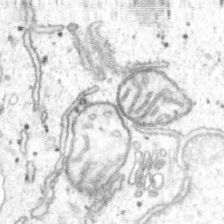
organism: Human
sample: HeLa cells